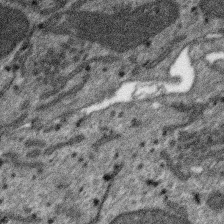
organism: Human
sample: Lung epithelial cells infected with SARS-CoV-2